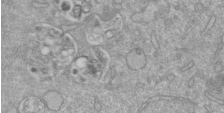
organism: Mouse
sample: ED-1 cell nuclei; centrioles